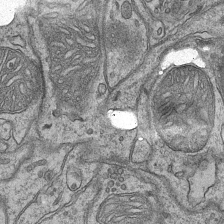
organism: Mouse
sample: CA1 Hippocampus